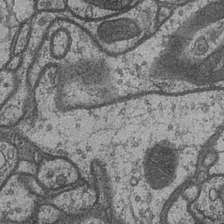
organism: Drosophila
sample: Optic medulla